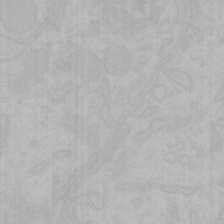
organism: Mouse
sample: Choroid plexus